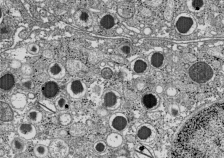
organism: C57BL Mouse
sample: Pancreatic islet